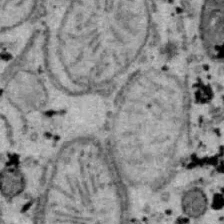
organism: Mouse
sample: Liver from an obese (ob/ob) mouse